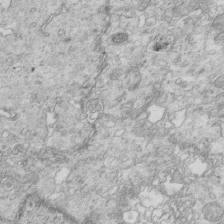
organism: Mouse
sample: Multiciliated cells